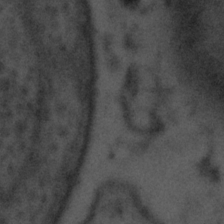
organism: Tuwongella immobilis